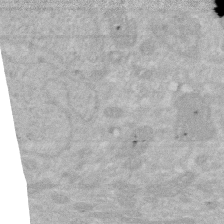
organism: Human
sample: HIV infected U937 cells